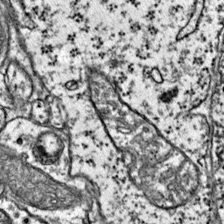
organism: Mouse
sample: Primary visual cortex